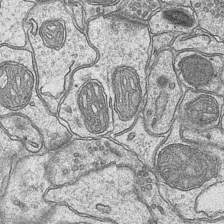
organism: Mouse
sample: CA1 Hippocampus